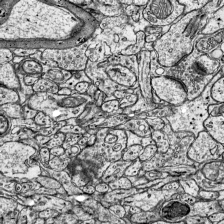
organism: Mouse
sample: Visual Cortex